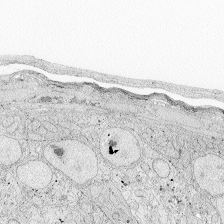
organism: Zebrafish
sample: Whole-Brain